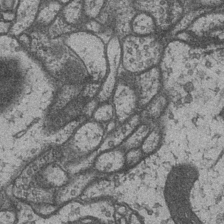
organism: Drosophila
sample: Optic medulla